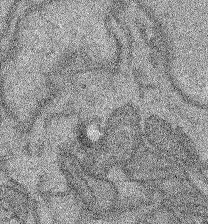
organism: Human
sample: HeLa cells